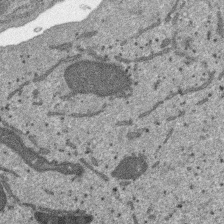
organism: Human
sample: Lung epithelial cells infected with SARS-CoV-2